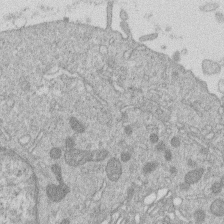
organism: Human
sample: Macrophage cells